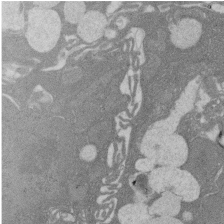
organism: Rat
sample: Salivary granule